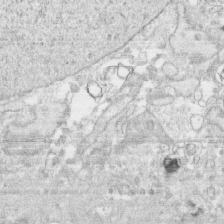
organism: Human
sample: CRL-1474